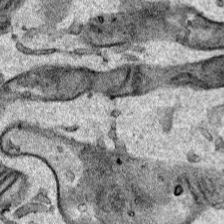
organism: Human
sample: Mitochondria in HCT116 cells